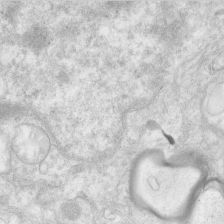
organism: Human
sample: Neocortex